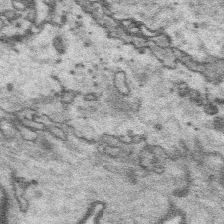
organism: Platynereis dumerilii